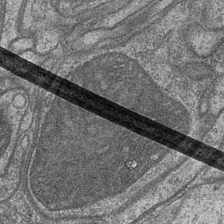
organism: Drosophila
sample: Optic medulla